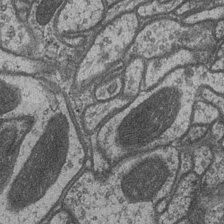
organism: Drosophila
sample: Optic medulla